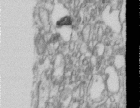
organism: Human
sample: Centriole in RPE cells